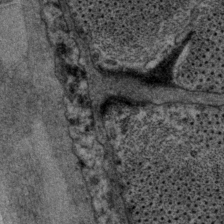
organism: P. pacificus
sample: Pharynx